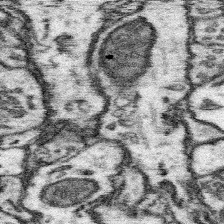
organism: Mouse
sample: Somatosensory cortex neuropil